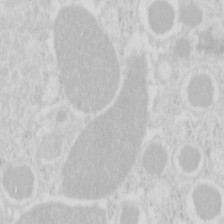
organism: Mouse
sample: Pancreas